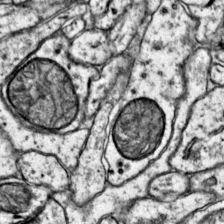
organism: Mouse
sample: Primary visual cortex